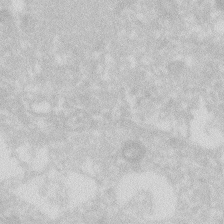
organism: Zebrafish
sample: Macrophage